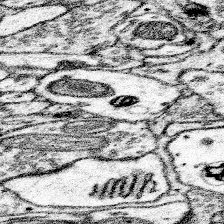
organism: Mouse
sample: Somatosensory cortex neuropil